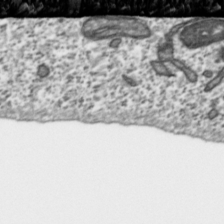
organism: Toxoplasma gondii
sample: Parasites in a vacuole inside a host cell